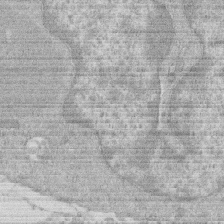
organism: Human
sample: Macrophage cells